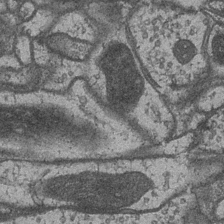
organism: Drosophila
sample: Optic medulla